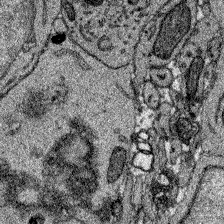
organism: Zebrafish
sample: Larval olfactory bulb